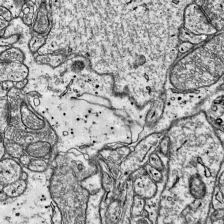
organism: Mouse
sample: Visual Cortex